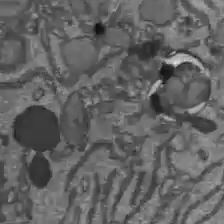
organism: C57BL Mouse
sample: Liver